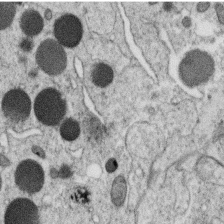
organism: C. elegans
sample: C. elegans oocyte; sperm cells